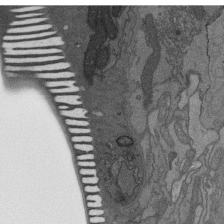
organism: C. elegans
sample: AFD neurons C. elegans